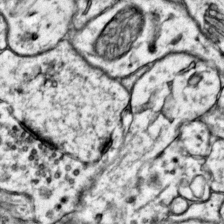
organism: Mouse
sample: Primary visual cortex